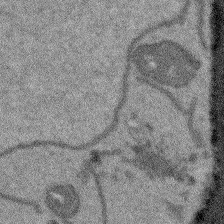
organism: Arabidopsis thaliana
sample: Root tip